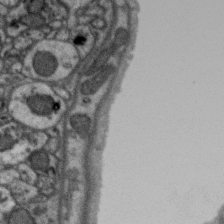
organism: Zebra finch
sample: Brain